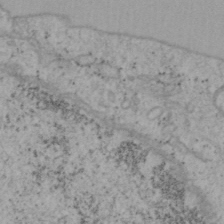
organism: Human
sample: HeLa cells